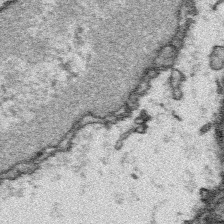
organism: Platynereis dumerilii